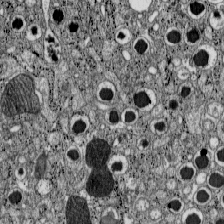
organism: C57BL Mouse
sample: Pancreatic islet